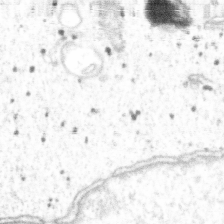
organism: Human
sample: HeLa cells